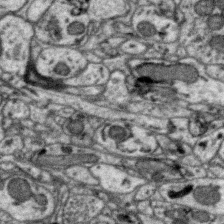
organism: Zebra finch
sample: Brain